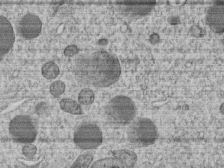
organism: C. elegans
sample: C. elegans embryo early stage